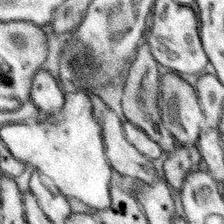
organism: Mouse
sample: Somatosensory cortex neuropil